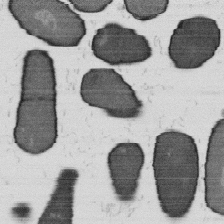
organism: B. subtilis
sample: Bacterial spore